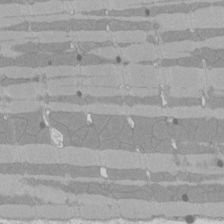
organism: Rat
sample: Left ventricle